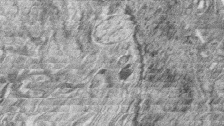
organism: Zebrafish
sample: synaptic ribbons in rod cells and cone cells